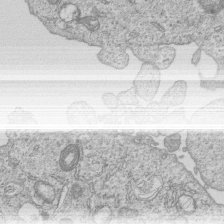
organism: Human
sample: MDA-MB-231 cells